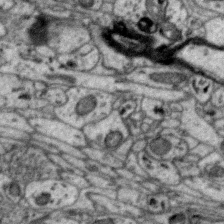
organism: Zebra finch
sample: Brain